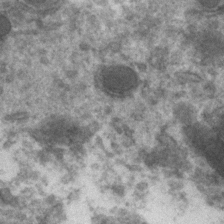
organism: Zebrafish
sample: Zebrafish embryo